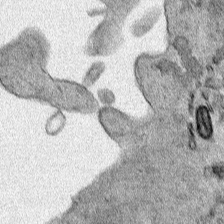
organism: Human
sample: Mitochondria in HCT116 cells